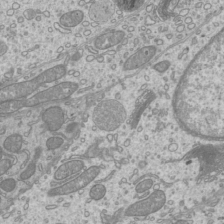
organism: Mouse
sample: Cilia; mouse epididymis